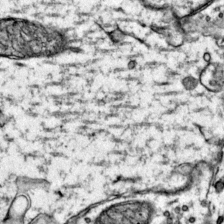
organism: Mouse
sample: Primary visual cortex